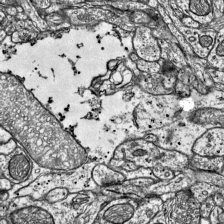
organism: Mouse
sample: Visual Cortex